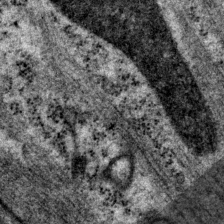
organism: P. pacificus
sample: Pharynx